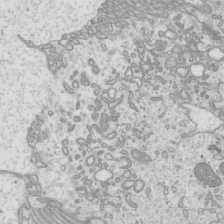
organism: Mouse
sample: Cilia; mouse epididymis